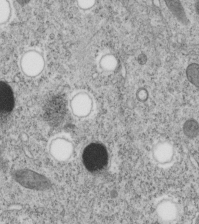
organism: C. elegans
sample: C. elegans embryo early stage